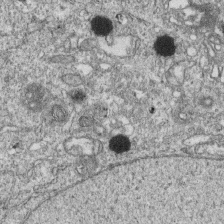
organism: Human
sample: HeLa cell HIV synapse